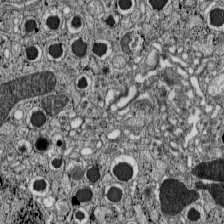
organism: C57BL Mouse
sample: Pancreatic islet